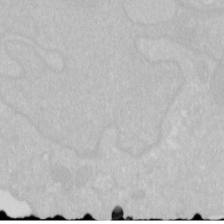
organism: Human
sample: HIV infected U937 cells